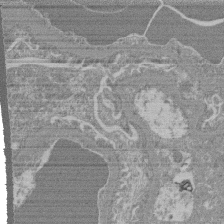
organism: Mouse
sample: Glomerulus